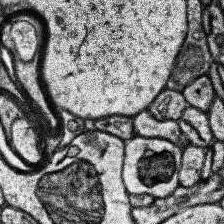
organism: Human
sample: Temporal Lobe